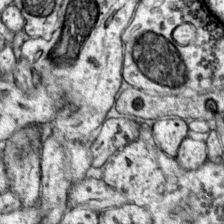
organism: Mouse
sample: Primary visual cortex